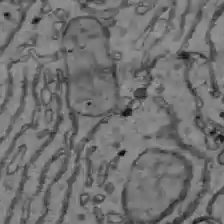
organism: C57BL Mouse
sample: Liver